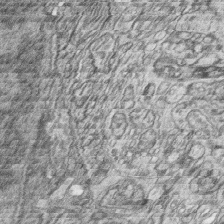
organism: Zebrafish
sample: synaptic ribbons in rod cells and cone cells